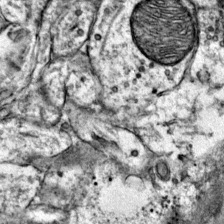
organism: Mouse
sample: Primary visual cortex